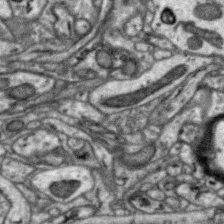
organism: Zebra finch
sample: Brain